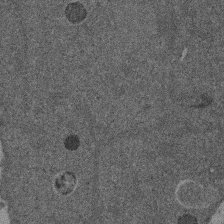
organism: Mouse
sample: Dividing mouse embryo 1 cell stage